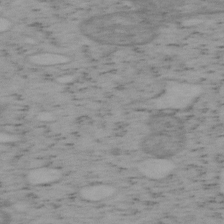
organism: Mouse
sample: OT-I killer T cells with ID8 ovarian cancer cells